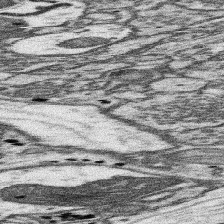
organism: Mouse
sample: Somatosensory cortex neuropil